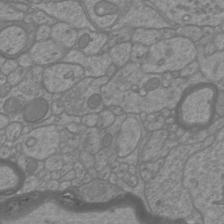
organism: Mouse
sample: Cortical neurons